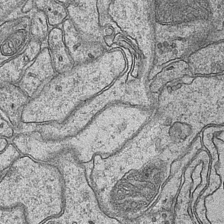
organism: Mouse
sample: CA1 Hippocampus